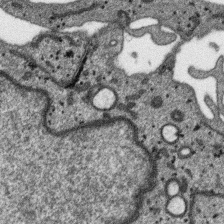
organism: Human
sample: Lung epithelial cells infected with SARS-CoV-2